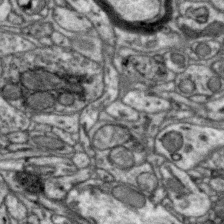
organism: Zebra finch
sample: Brain